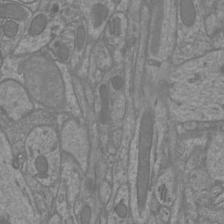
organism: Mouse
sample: Cortical neurons